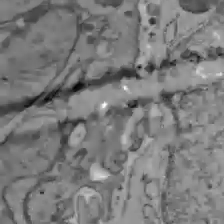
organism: C57BL Mouse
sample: Liver